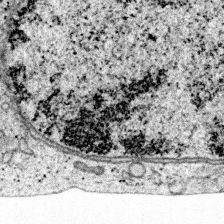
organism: Human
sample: HeLa cells